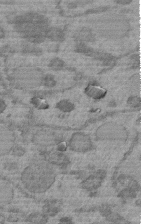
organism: C. elegans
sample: C. elegans embryo early stage